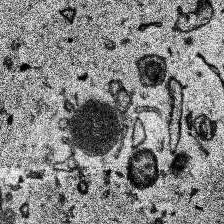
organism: Human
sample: Temporal Lobe